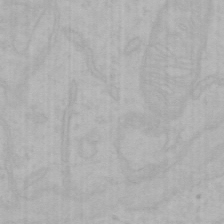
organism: Mouse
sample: Choroid plexus